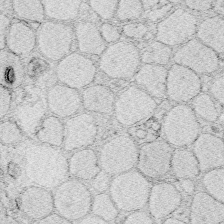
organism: Zebrafish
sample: Whole-Brain